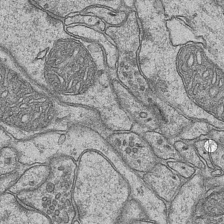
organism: Mouse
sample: CA1 Hippocampus